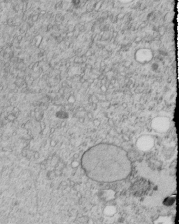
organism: C. elegans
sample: C. elegans embryo early stage